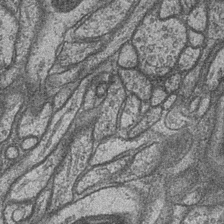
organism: Drosophila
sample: Optic medulla